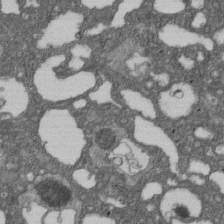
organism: Drosophila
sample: Nephrocyte